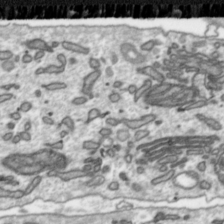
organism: Toxoplasma gondii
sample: Parasites in a vacuole inside a host cell